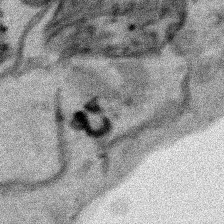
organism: Human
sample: Mitochondria in HCT116 cells